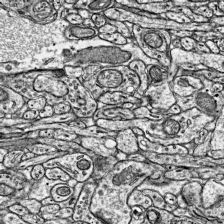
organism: Mouse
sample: Visual Cortex